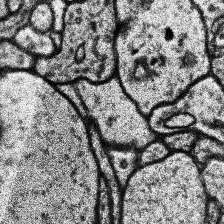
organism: Human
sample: Temporal Lobe